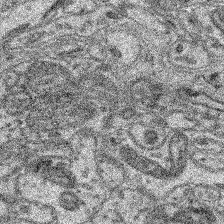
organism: Mouse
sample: Retina